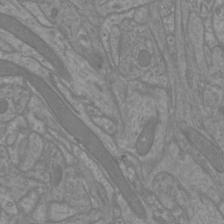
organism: Mouse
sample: Cortical neurons